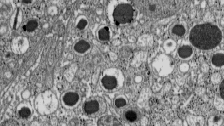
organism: C57BL Mouse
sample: Pancreatic islet